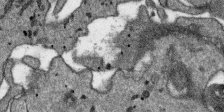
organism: Human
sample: Lung epithelial cells, uninfected (mock) control